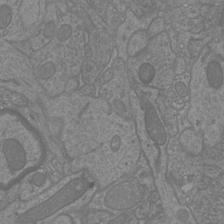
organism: Mouse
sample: Cortical neurons